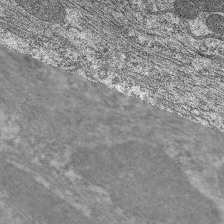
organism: C. elegans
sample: Pharynx